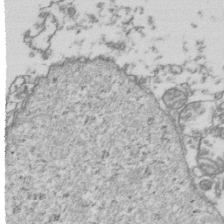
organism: Human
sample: Activated Jurkat CD4+ T cells